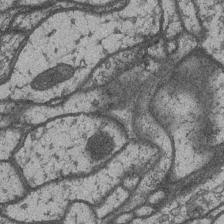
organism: Drosophila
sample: Optic medulla